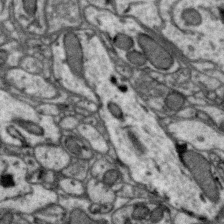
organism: Zebra finch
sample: Brain